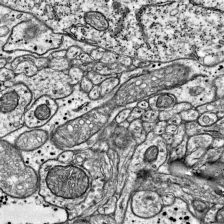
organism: Mouse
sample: Visual Cortex